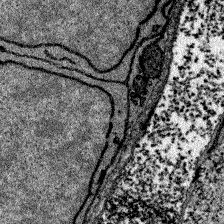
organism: Zebrafish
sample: Larval olfactory bulb